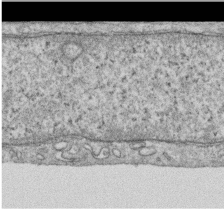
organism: Human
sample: Centriole in RPE cells